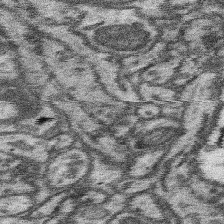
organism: Mouse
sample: Somatosensory cortex neuropil